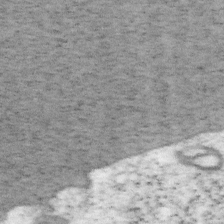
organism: Mouse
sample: OT-I killer T cells with ID8 ovarian cancer cells